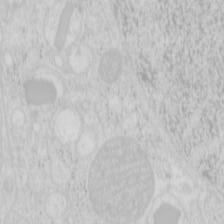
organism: Mouse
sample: Pancreas